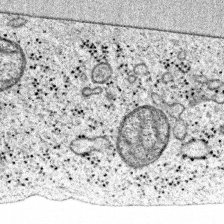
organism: Human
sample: HeLa cells